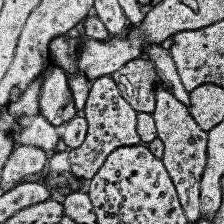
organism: Human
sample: Temporal Lobe